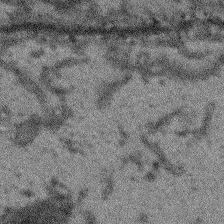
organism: Arabidopsis thaliana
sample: Root tip